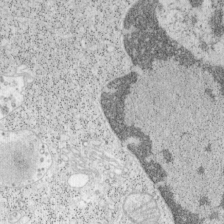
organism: Mouse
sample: OT-I killer T cells with ID8 ovarian cancer cells